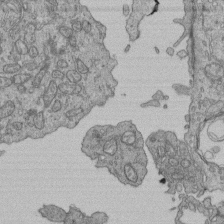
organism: Human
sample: Retinal organoid Rod and Cone cells